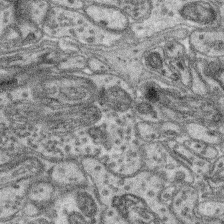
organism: Mouse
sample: Retina